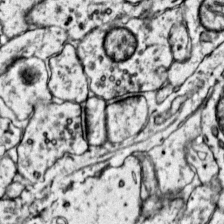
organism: Mouse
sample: Primary visual cortex